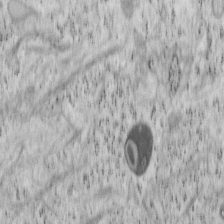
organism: Human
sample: HeLa cells